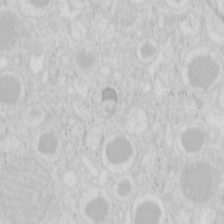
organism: Mouse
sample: Pancreas